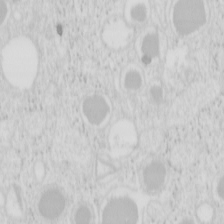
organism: Mouse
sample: Pancreas